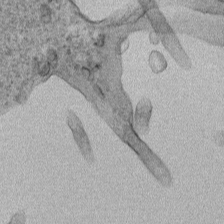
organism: Human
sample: Mitochondria in HCT116 cells